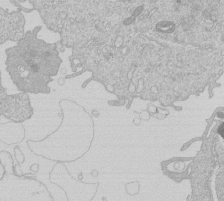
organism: Human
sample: Macrophage cells